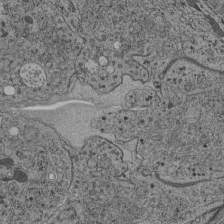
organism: C. elegans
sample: C. elegans pharynx